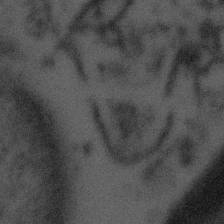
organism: Tuwongella immobilis